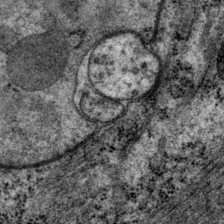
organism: P. pacificus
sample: Pharynx